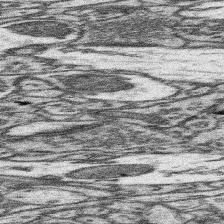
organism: Mouse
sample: Somatosensory cortex neuropil